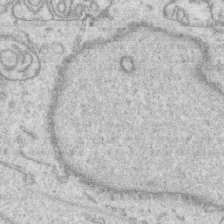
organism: Human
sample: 1205lu cells